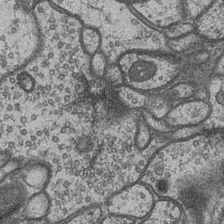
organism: Drosophila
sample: Optic medulla